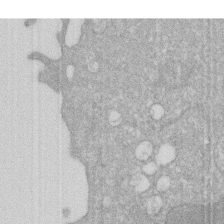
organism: Human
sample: HIV infected U937 cells